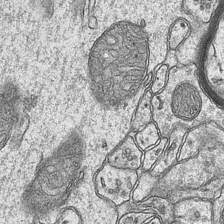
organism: Mouse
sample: CA1 Hippocampus